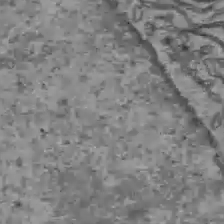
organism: C57BL Mouse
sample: Liver